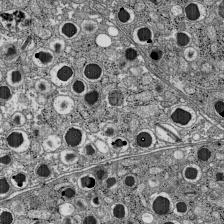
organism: C57BL Mouse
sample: Pancreatic islet